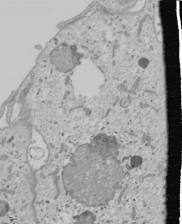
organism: Human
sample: Mitochondria in U2OS cells